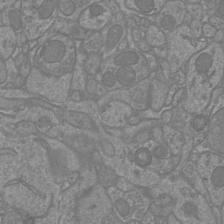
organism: Mouse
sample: Cortical neurons